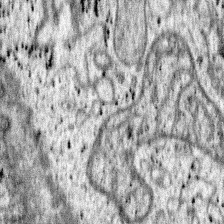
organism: Human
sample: HeLa cells